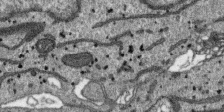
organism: Human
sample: Lung epithelial cells, uninfected (mock) control